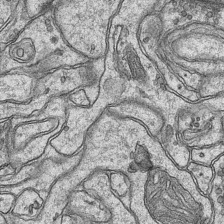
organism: Mouse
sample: CA1 Hippocampus